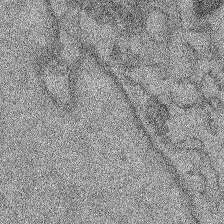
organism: Human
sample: HeLa cells